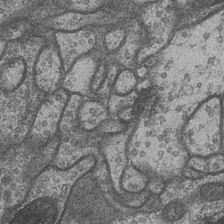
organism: Drosophila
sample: Optic medulla